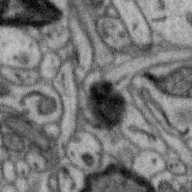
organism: Zebra finch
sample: Brain